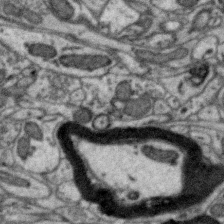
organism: Zebra finch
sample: Brain